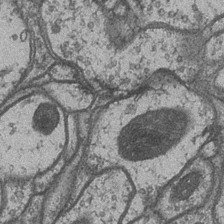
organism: Drosophila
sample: Optic medulla